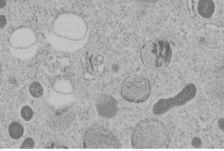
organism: C. elegans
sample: C. elegans embryo early stage